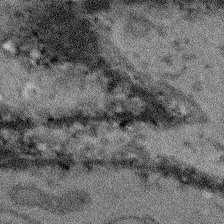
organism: Arabidopsis thaliana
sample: Root tip